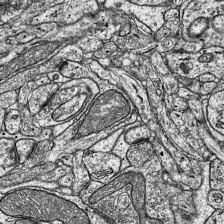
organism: Mouse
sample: Visual Cortex